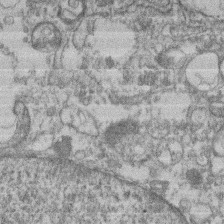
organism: Mouse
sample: T cell stromal cell synapse